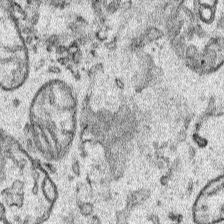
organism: Human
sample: Mitochondria in HCT116 cells